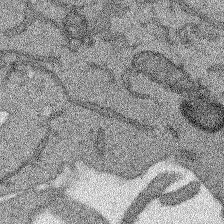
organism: Human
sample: HeLa cells